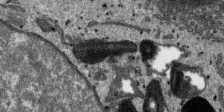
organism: Human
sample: Lung epithelial cells, uninfected (mock) control